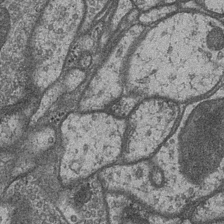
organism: Drosophila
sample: Optic medulla